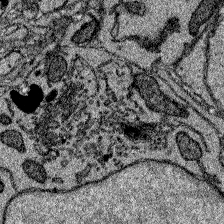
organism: Zebrafish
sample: Larval olfactory bulb